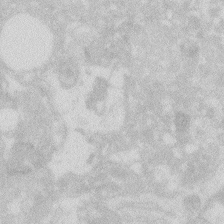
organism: Zebrafish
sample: Macrophage